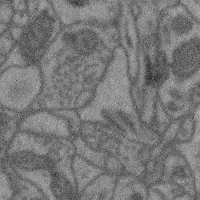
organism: Mouse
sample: Cerebral cortex